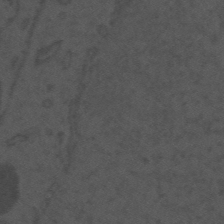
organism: Mouse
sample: Suprachiasmatic nucleus